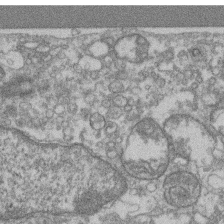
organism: Mouse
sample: T cell stromal cell synapse